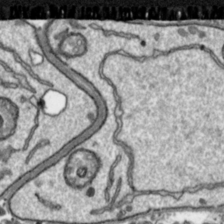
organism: Toxoplasma gondii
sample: Parasites in a vacuole inside a host cell